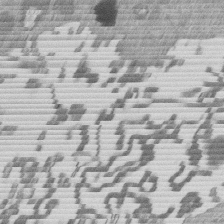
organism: Mouse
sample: Dividing mouse embryo 1 cell stage